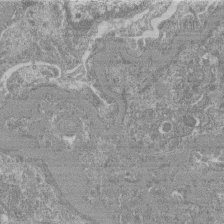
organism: Mouse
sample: Glomerulus